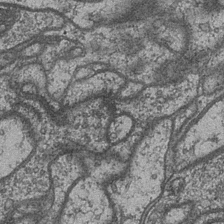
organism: Drosophila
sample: Optic medulla